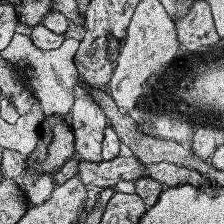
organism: Human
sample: Temporal Lobe